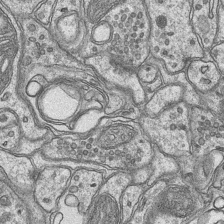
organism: Mouse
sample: CA1 Hippocampus